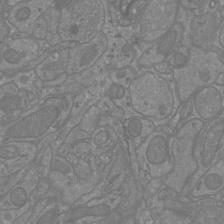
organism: Mouse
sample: Cortical neurons